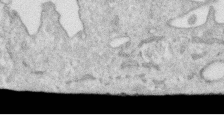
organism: Human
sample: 1205lu cells